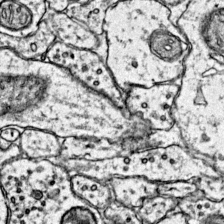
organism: Mouse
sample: Primary visual cortex